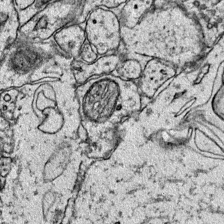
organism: Mouse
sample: Primary visual cortex